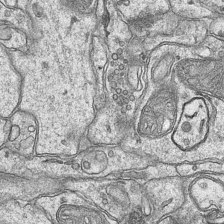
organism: Mouse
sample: CA1 Hippocampus